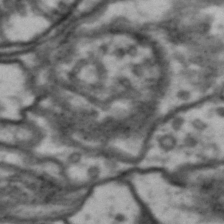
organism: Drosophila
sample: Brain